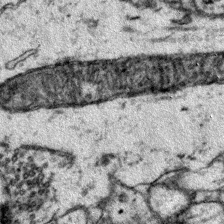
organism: Mouse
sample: Primary visual cortex